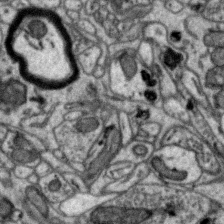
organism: Zebra finch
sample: Brain